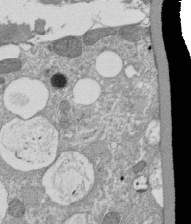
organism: Tetrahymena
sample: Cilia in tetrahymena